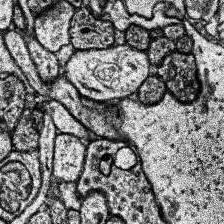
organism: Human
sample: Temporal Lobe